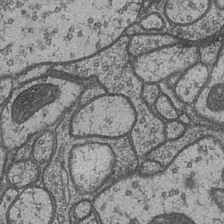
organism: Drosophila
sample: Optic medulla